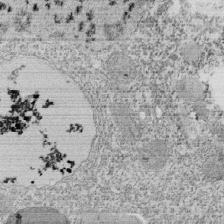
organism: Tetrahymena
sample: Cilia in tetrahymena